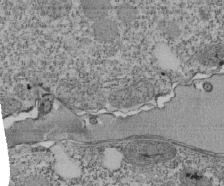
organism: Tetrahymena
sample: Cilia in tetrahymena